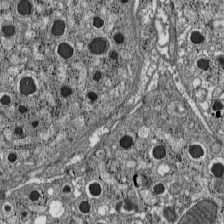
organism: C57BL Mouse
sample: Pancreatic islet